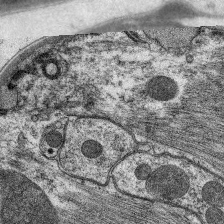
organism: C. elegans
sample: Pharynx